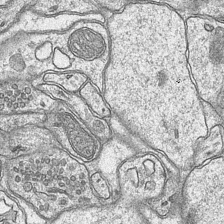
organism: Mouse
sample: CA1 Hippocampus